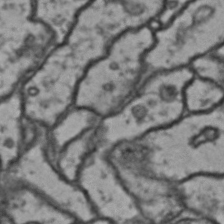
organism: Drosophila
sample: Brain